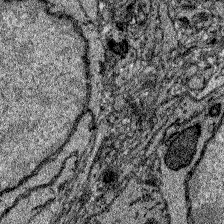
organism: Zebrafish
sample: Larval olfactory bulb